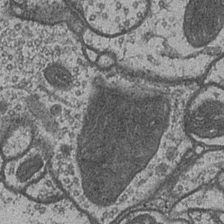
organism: Drosophila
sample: Optic medulla